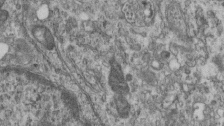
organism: Mouse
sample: Centriole in ependymal cells